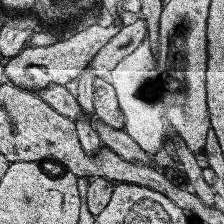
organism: Human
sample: Temporal Lobe